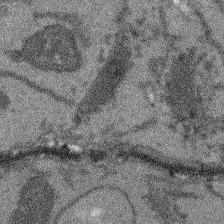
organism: Arabidopsis thaliana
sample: Root tip